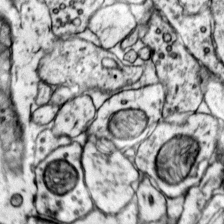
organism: Mouse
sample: Primary visual cortex